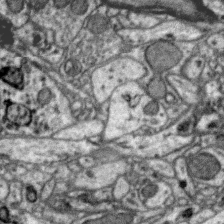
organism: Zebra finch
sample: Brain